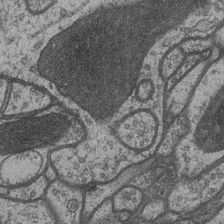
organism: Drosophila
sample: Optic medulla